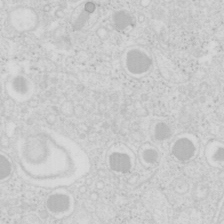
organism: Mouse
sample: Pancreas